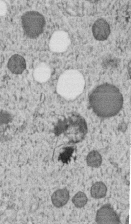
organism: C. elegans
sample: C. elegans embryo early stage